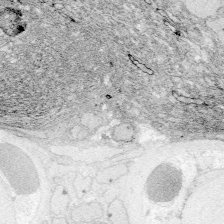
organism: Zebrafish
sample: Whole-Brain